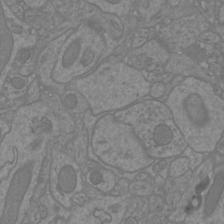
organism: Mouse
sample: Cortical neurons